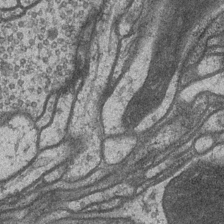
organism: Drosophila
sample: Optic medulla